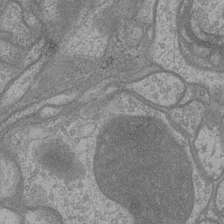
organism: Drosophila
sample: Optic medulla